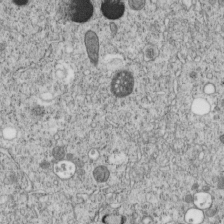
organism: C. elegans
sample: C. elegans embryo early stage